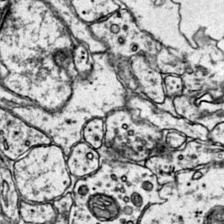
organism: Mouse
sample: Primary visual cortex